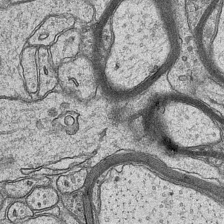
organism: Mouse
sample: CA1 Hippocampus